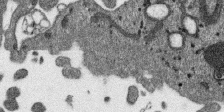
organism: Human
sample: Lung epithelial cells infected with SARS-CoV-2